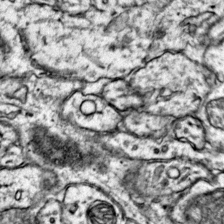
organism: Mouse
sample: Primary visual cortex